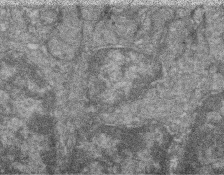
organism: Zebrafish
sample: Cilia; retinal pigment epithelium